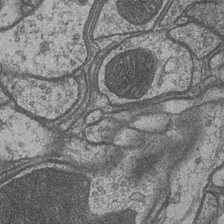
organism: Drosophila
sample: Optic medulla